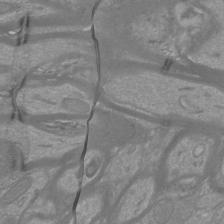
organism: Mouse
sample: Cortical neurons